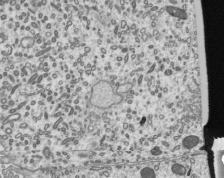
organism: Mouse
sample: Mouse epididymis efferent ductule cilia